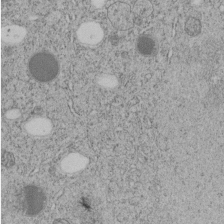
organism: C. elegans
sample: C. elegans embryo early stage